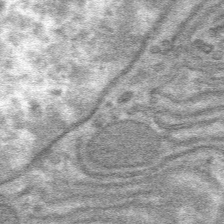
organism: Mouse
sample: Mouse hepatocytes